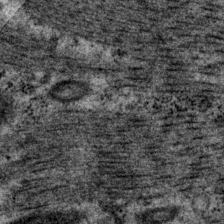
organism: P. pacificus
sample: Pharynx